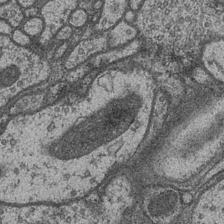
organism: Drosophila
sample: Optic medulla